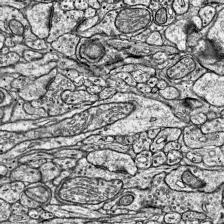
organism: Mouse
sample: Visual Cortex